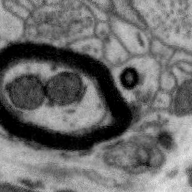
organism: Zebra finch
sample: Brain